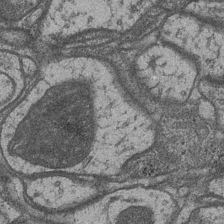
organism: Drosophila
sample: Optic medulla